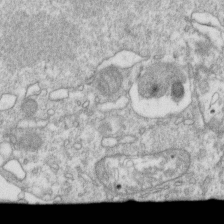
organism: Mouse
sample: Activated OT-1 CD8+ T cells